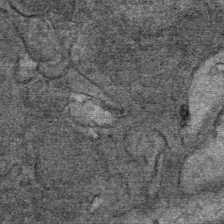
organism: Mouse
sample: Mouse Salivary gland